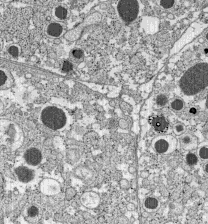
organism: C57BL Mouse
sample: Pancreatic islet